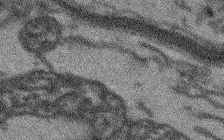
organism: Arabidopsis thaliana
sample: Root tip